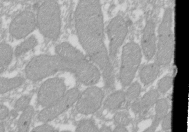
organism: Xenopus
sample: Cilia; centrioles in frog embryo cells